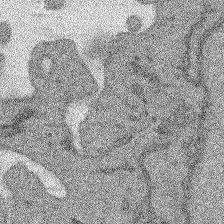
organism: Human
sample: HeLa cells